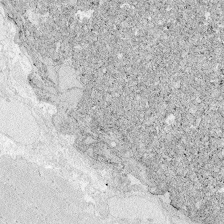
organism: Zebrafish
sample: Whole-Brain